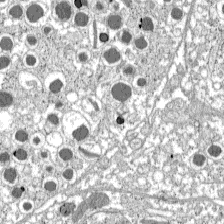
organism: C57BL Mouse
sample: Pancreatic islet